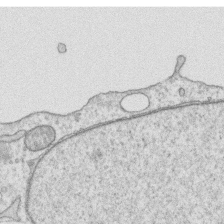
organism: Human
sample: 1205lu cells